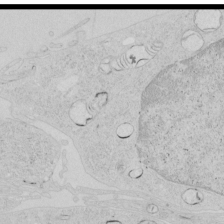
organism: Human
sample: Mitochondria in HCT116 cells